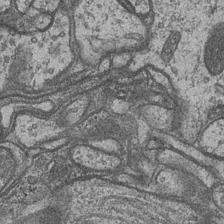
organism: Drosophila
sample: Optic medulla